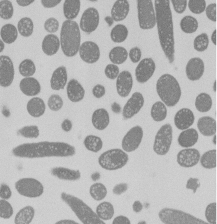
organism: E. coli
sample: Bacterial nucleoid